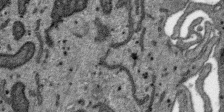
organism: Human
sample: Lung epithelial cells, uninfected (mock) control